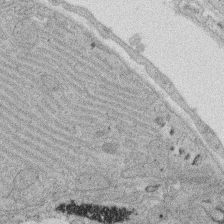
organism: Rat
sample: Salivary granule